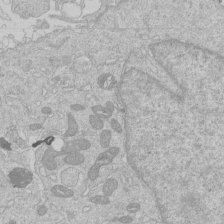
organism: Human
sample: Macrophage cells